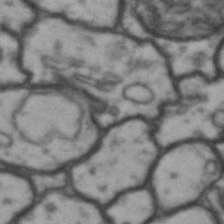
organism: Drosophila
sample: Brain